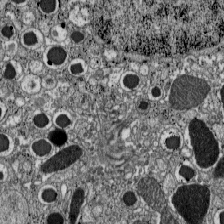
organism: C57BL Mouse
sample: Pancreatic islet